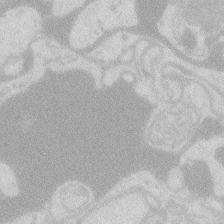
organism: Zebrafish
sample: Macrophage